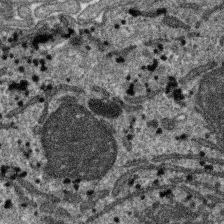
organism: Human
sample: Lung epithelial cells infected with SARS-CoV-2